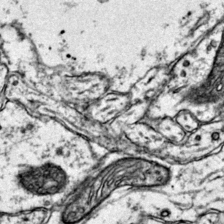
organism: Mouse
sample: Primary visual cortex